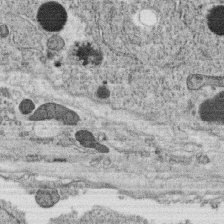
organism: C. elegans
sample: C. elegans oocyte; sperm cells